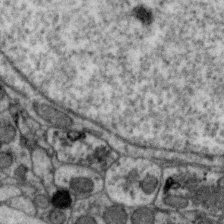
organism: Zebra finch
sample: Brain